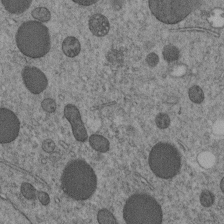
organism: C. elegans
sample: C. elegans embryo early stage